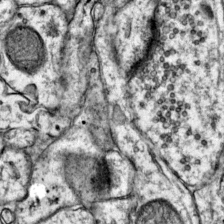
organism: Mouse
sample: Primary visual cortex